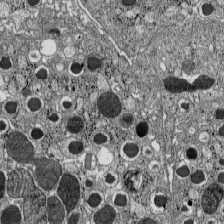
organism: C57BL Mouse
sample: Pancreatic islet